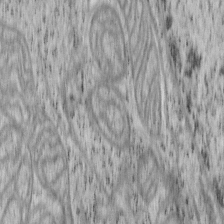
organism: Human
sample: HeLa cells